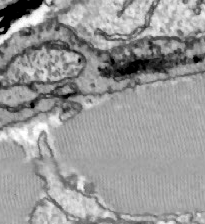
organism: Zebrafish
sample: Actinotrichia fibers